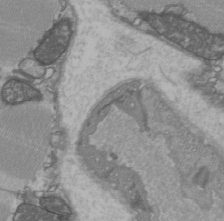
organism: C57BL Mouse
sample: Heart